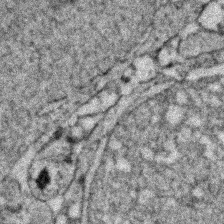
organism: Zebrafish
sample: Zebrafish embryo